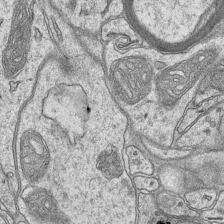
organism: Mouse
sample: CA1 Hippocampus